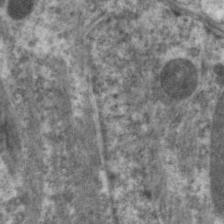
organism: C. elegans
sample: Pharynx